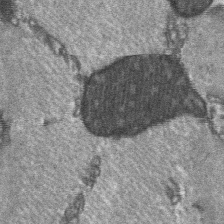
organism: C57BL Mouse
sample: Soleus